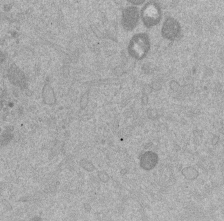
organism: Mouse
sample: Dividing mouse embryo 1 cell stage